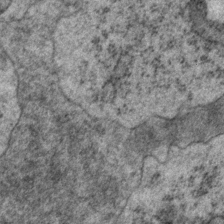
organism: P. pacificus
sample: Pharynx